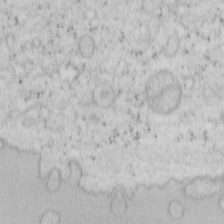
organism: Human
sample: HeLa cells